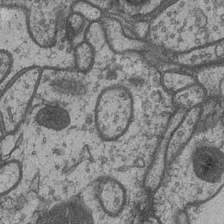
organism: Drosophila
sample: Optic medulla